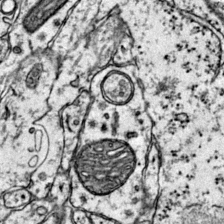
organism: Mouse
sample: Primary visual cortex